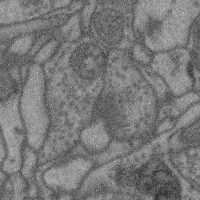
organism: Mouse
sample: Cerebral cortex